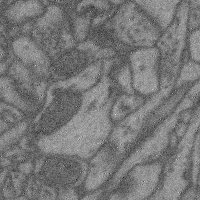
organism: Mouse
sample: Cerebral cortex